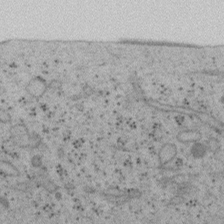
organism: Human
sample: HeLa cells